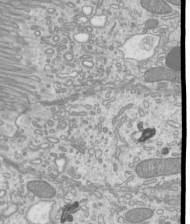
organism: Mouse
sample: Cilia; mouse epididymis